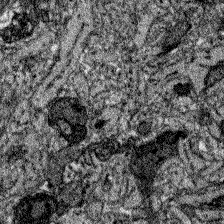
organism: Zebrafish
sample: Larval olfactory bulb